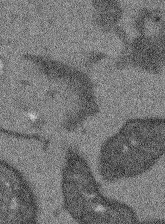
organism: Arabidopsis thaliana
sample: Root tip